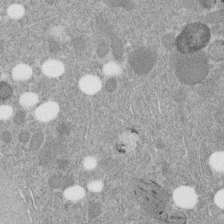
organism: C. elegans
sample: C. elegans embryo early stage